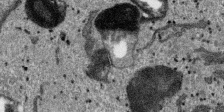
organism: Human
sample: Lung epithelial cells, uninfected (mock) control